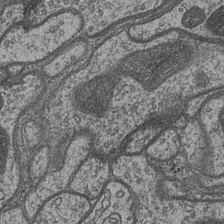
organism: Drosophila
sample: Optic medulla